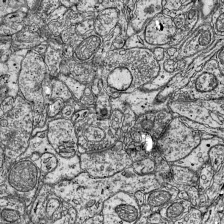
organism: Mouse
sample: Visual Cortex